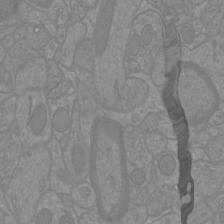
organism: Mouse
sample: Cortical neurons